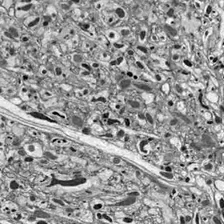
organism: Drosophila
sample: Optic lobe